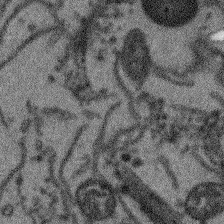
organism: Arabidopsis thaliana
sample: Root tip